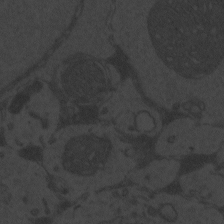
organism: Zebrafish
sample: Macrophage infected with Toxoplasma gondii